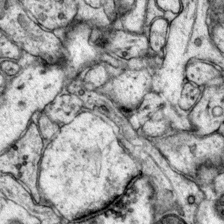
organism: Mouse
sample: Primary visual cortex